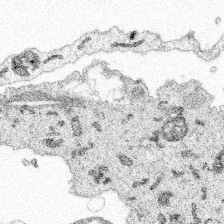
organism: Spongilla lacustris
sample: Multiple